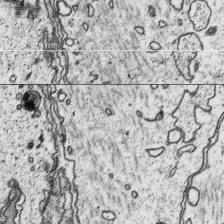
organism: Platynereis dumerilii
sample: Parapodia